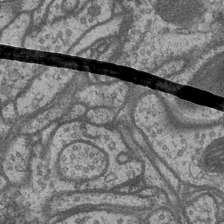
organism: Drosophila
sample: Optic medulla